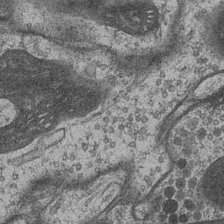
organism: Drosophila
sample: Optic medulla